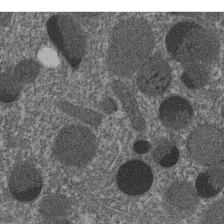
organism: C. elegans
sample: C. elegans embryo early stage